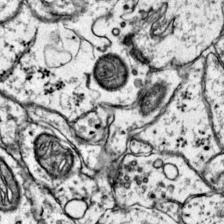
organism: Mouse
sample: Primary visual cortex